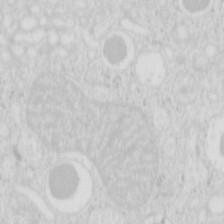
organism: Mouse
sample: Pancreas